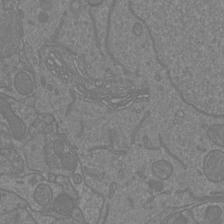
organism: Mouse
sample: Cortical neurons